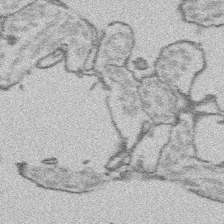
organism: Platynereis dumerilii